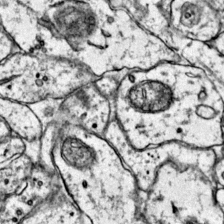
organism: Mouse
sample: Primary visual cortex